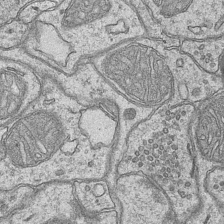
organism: Mouse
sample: CA1 Hippocampus